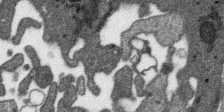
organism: Human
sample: Lung epithelial cells infected with SARS-CoV-2